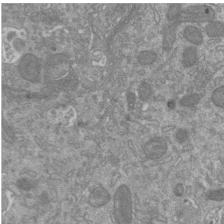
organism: Mouse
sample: ED-1 cell nuclei; centrioles